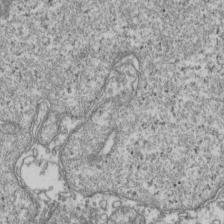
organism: Human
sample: Activated Jurkat CD4+ T cells